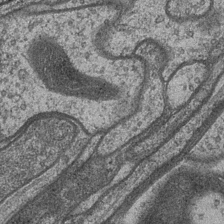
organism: Drosophila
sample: Optic medulla